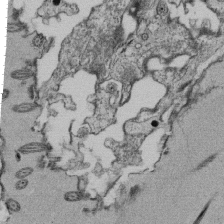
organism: Tetrahymena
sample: Cilia in tetrahymena